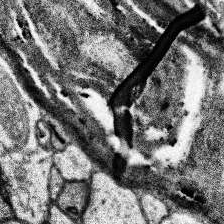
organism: Human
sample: Temporal Lobe